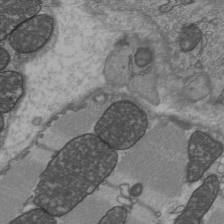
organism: C57BL Mouse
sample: Heart